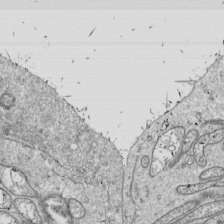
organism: Drosophila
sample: Cell division; meiosis; drosophila spermatocytes